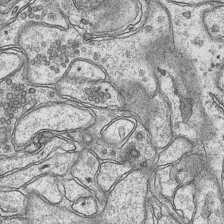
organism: Mouse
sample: CA1 Hippocampus